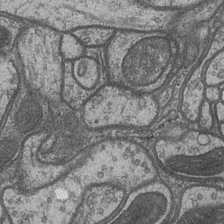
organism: Drosophila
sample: Optic medulla